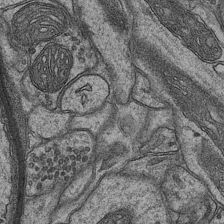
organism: Mouse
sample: CA1 Hippocampus